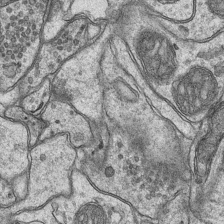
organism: Mouse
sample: CA1 Hippocampus